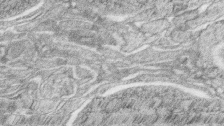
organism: Zebrafish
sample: synaptic ribbons in rod cells and cone cells